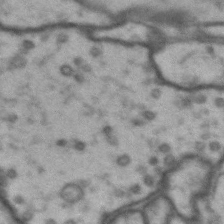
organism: Drosophila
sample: Brain